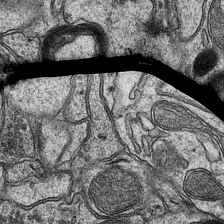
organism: Mouse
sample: CA1 Hippocampus